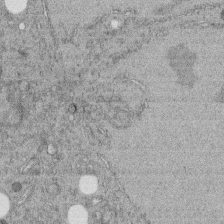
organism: C. elegans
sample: C. elegans embryo early stage